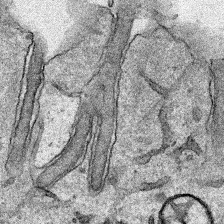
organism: Human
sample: Mitochondria in HCT116 cells